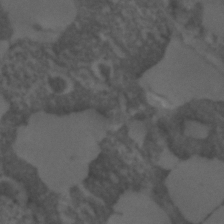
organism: C. elegans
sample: C. elegans embryo